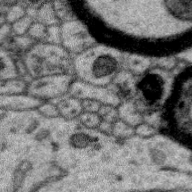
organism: Zebra finch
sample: Brain